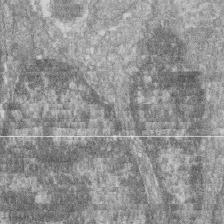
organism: Zebrafish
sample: Cilia; retinal pigment epithelium